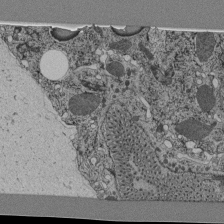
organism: C. elegans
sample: C. elegans pharynx